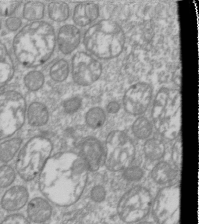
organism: Drosophila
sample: Cell division; meiosis; drosophila spermatocytes